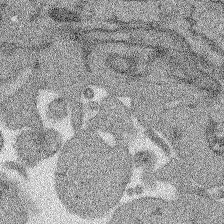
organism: Human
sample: HeLa cells